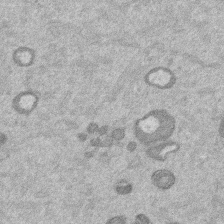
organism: Mouse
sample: Dividing mouse embryo 1 cell stage